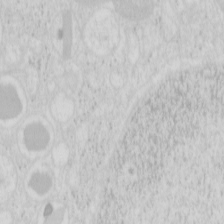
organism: Mouse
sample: Pancreas